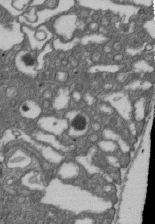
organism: Drosophila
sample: Nephrocyte